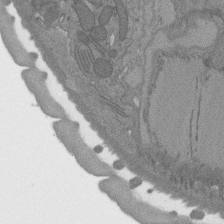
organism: C. elegans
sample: AFD neurons C. elegans